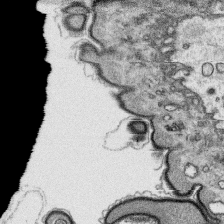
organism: Platynereis dumerilii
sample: Parapodia